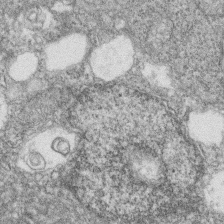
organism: Zebrafish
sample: Cilia; retinal pigment epithelium